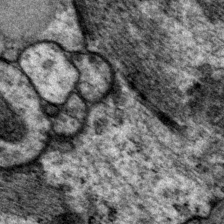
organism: P. pacificus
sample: Pharynx